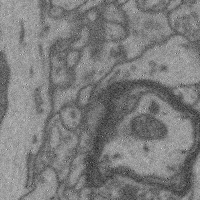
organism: Mouse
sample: Cerebral cortex